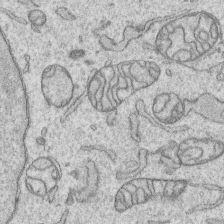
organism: Human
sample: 1205lu cells